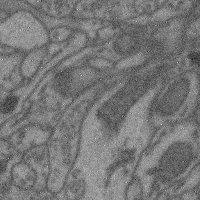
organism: Mouse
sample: Cerebral cortex